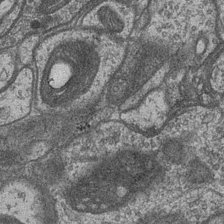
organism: Drosophila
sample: Optic medulla